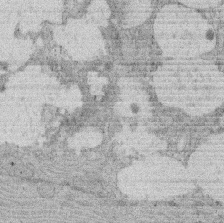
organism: Rat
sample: Salivary granule